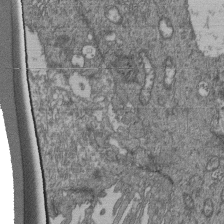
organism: Human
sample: Retinal organoid Rod and Cone cells